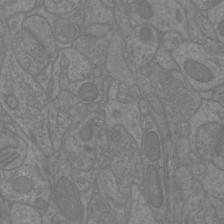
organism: Mouse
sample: Cortical neurons